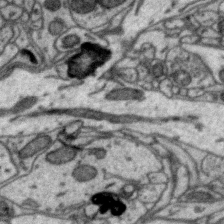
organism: Zebra finch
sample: Brain